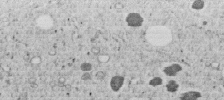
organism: C. elegans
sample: C. elegans embryo early stage